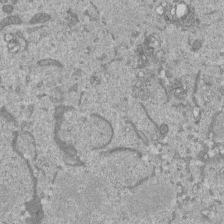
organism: Mouse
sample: ED-1 cell nuclei; centrioles